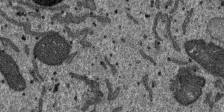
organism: Human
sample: Lung epithelial cells infected with SARS-CoV-2